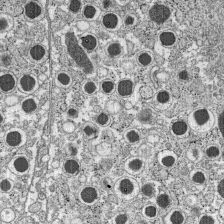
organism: C57BL Mouse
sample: Pancreatic islet